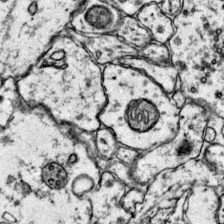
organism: Mouse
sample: Primary visual cortex